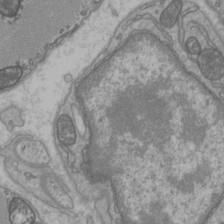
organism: C57BL Mouse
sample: Heart